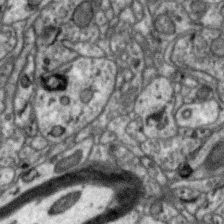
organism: Zebra finch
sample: Brain